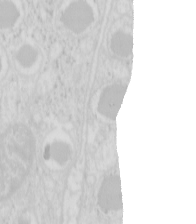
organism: Mouse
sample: Pancreas